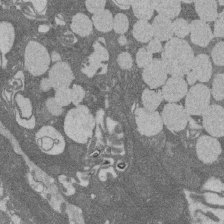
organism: Rat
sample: Salivary granule